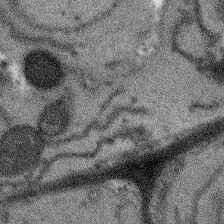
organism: Arabidopsis thaliana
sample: Root tip